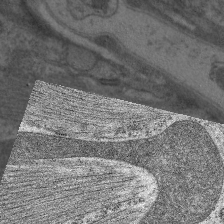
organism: C. elegans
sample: Pharynx